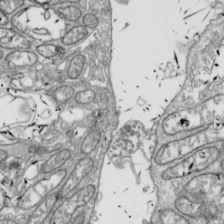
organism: Drosophila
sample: Cell division; meiosis; drosophila spermatocytes